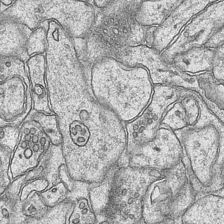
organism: Mouse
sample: CA1 Hippocampus